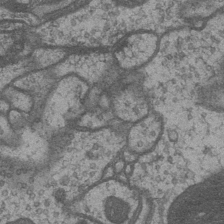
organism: Drosophila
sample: Optic medulla